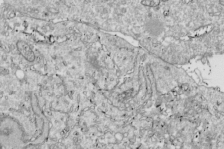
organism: Drosophila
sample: Cell division; meiosis; drosophila spermatocytes